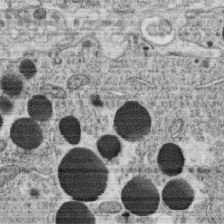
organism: C. elegans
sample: C. elegans oocyte; sperm cells